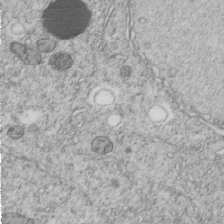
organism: C. elegans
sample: C. elegans embryo early stage